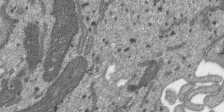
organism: Human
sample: Lung epithelial cells infected with SARS-CoV-2